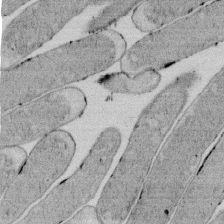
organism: E. coli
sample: Bacterial nucleoid